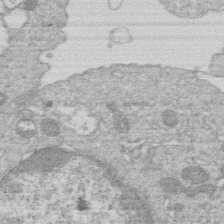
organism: Human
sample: Macrophage cells